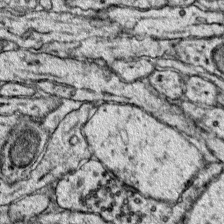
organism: Mouse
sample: Primary visual cortex